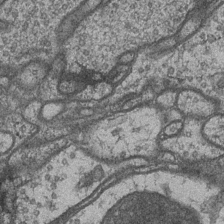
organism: Drosophila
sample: Optic medulla